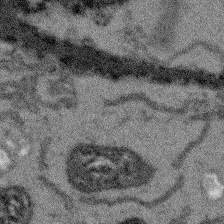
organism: Arabidopsis thaliana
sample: Root tip